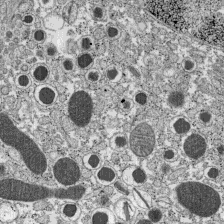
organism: C57BL Mouse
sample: Pancreatic islet